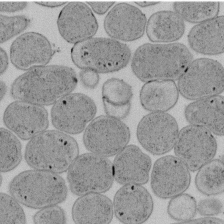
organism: E. coli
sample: Bacterial nucleoid